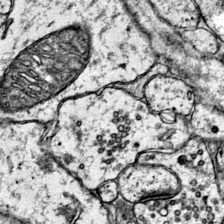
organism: Mouse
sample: Primary visual cortex